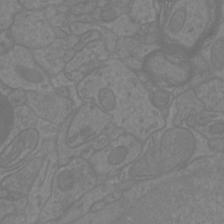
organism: Mouse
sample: Cortical neurons